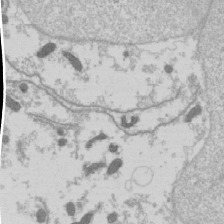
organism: Drosophila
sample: Cell division; meiosis; drosophila spermatocytes